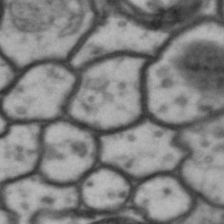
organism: Drosophila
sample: Brain